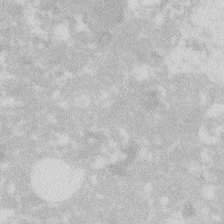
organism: Zebrafish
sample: Macrophage